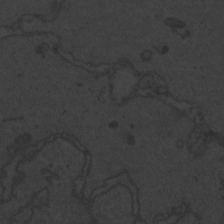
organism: Zebrafish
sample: Macrophage infected with Toxoplasma gondii